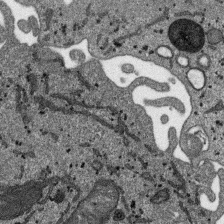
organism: Human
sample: Lung epithelial cells infected with SARS-CoV-2